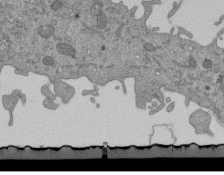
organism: Mouse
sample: ED-1 cell nuclei; centrioles